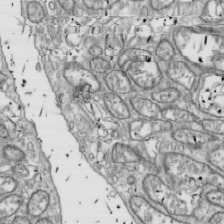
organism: Drosophila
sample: Cell division; meiosis; drosophila spermatocytes